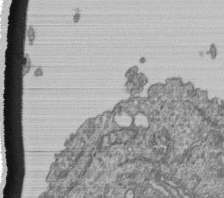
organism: Human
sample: Retinal organoid Rod and Cone cells